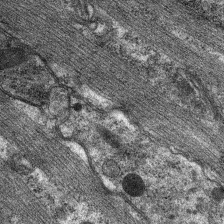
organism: C. elegans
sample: Pharynx